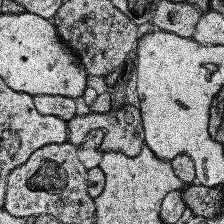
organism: Human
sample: Temporal Lobe